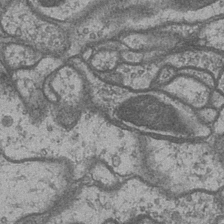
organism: Drosophila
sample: Optic medulla